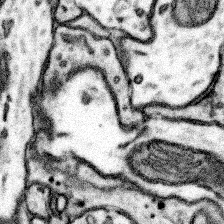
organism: Mouse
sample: Somatosensory cortex neuropil